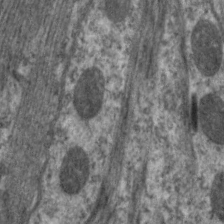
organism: C. elegans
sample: Pharynx